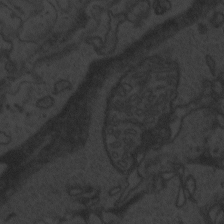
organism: Zebrafish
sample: Macrophage infected with Toxoplasma gondii